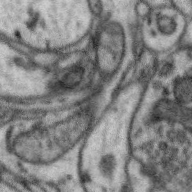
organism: Zebra finch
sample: Brain